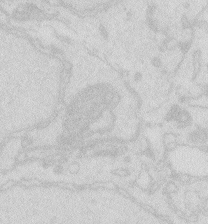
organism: Zebrafish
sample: Macrophage